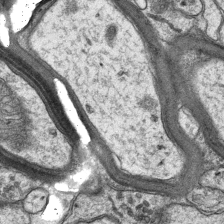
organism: Mouse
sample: CA1 Hippocampus